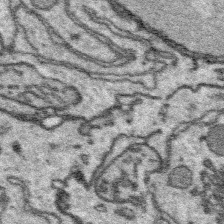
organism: Platynereis dumerilii